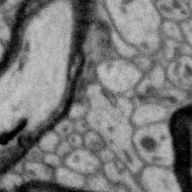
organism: Zebra finch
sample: Brain